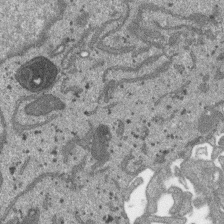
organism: Human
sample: Lung epithelial cells infected with SARS-CoV-2